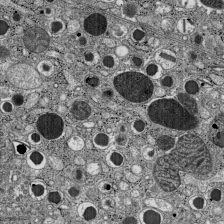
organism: C57BL Mouse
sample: Pancreatic islet